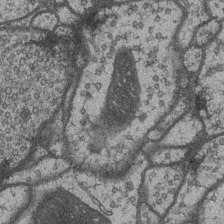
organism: Drosophila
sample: Optic medulla